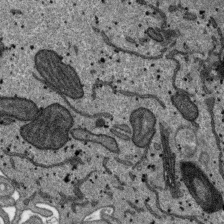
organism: Human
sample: Lung epithelial cells, uninfected (mock) control